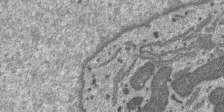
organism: Human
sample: Lung epithelial cells infected with SARS-CoV-2